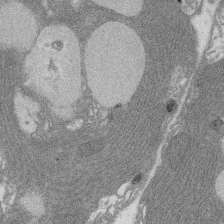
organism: Rat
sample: Salivary granule